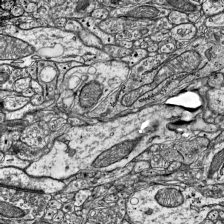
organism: Mouse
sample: Visual Cortex